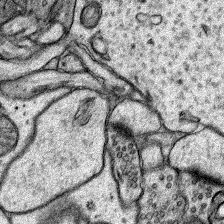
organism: Rat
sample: Hippocampus